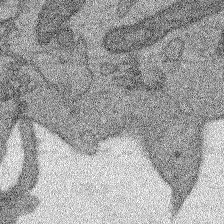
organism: Human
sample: HeLa cells